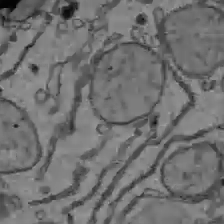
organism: C57BL Mouse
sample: Liver